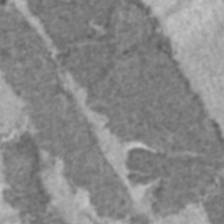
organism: C57BL Mouse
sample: Heart